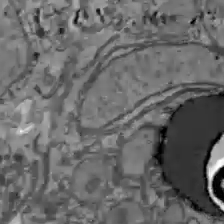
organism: C57BL Mouse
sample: Liver